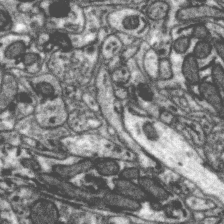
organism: Zebra finch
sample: Brain